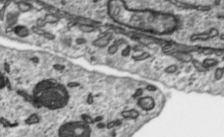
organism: Toxoplasma gondii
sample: Parasites in a vacuole inside a host cell